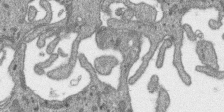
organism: Human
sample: Lung epithelial cells infected with SARS-CoV-2